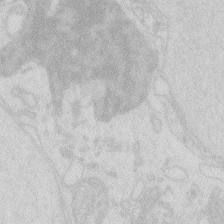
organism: Zebrafish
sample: Macrophage